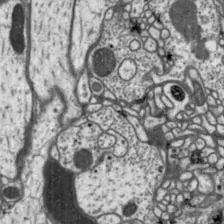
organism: Drosophila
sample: Protocerebral bridge